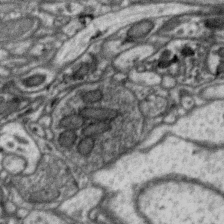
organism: Zebra finch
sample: Brain